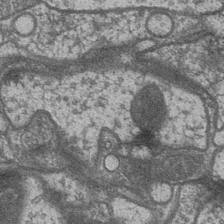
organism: Drosophila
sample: Optic medulla